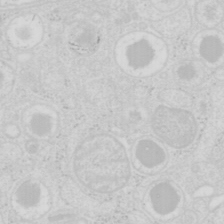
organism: Mouse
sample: Pancreas